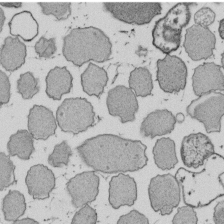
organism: E. coli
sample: Bacterial nucleoid